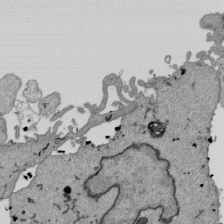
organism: Mouse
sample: ED-1 cell nuclei; centrioles